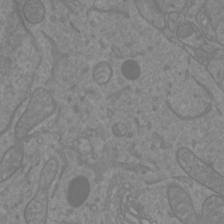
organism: Mouse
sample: Cortical neurons